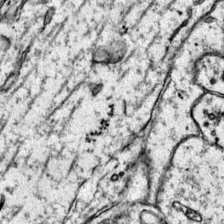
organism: Mouse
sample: Primary visual cortex